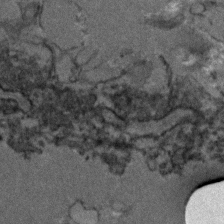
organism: Zebrafish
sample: Zebrafish embryo